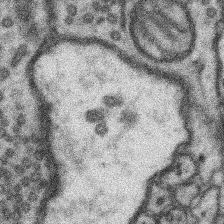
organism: Mouse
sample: Somatosensory cortex neuropil